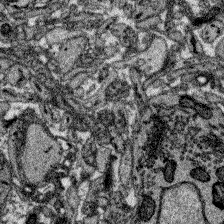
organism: Zebrafish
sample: Larval olfactory bulb